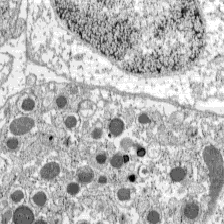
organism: C57BL Mouse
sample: Pancreatic islet